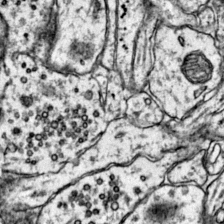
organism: Mouse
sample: Primary visual cortex